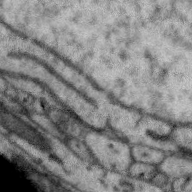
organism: Zebra finch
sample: Brain